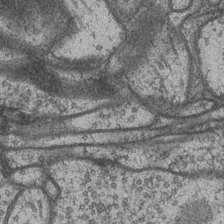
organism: Drosophila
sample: Optic medulla